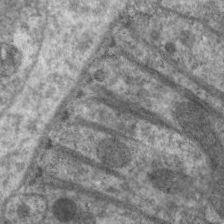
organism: C. elegans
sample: Pharynx